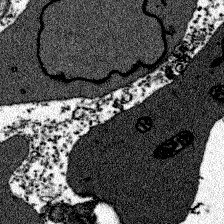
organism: Zebrafish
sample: Larval olfactory bulb